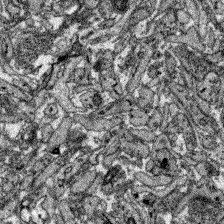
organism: Zebrafish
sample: Larval olfactory bulb